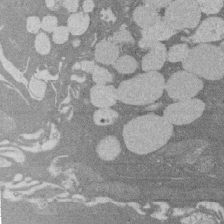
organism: Rat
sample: Salivary granule